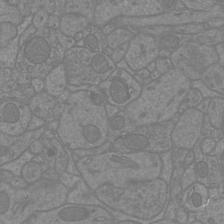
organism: Mouse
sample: Cortical neurons